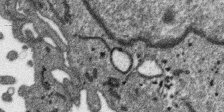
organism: Human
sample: Lung epithelial cells infected with SARS-CoV-2